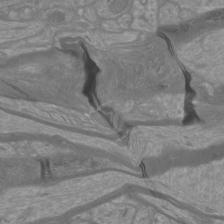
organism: Mouse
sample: Cortical neurons